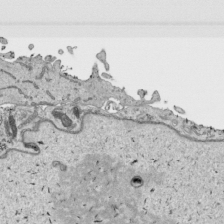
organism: Human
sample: Mitochondria in HCT116 cells